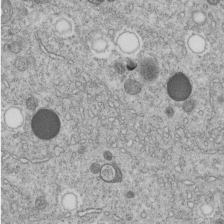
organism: C. elegans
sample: C. elegans embryo early stage